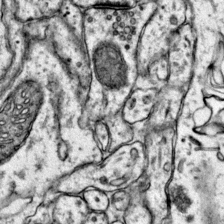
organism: Mouse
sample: Primary visual cortex